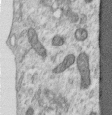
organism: Human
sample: Centriole in RPE cells